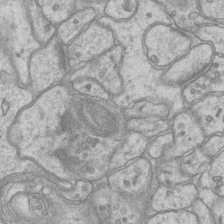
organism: Mouse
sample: CA1 Hippocampus